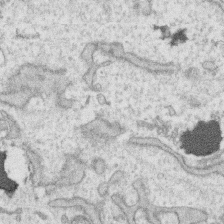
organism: Human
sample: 1205lu cells